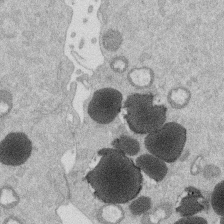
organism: Mouse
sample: Dividing mouse embryo 1 cell stage